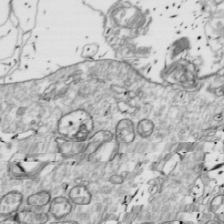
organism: Drosophila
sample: Cell division; meiosis; drosophila spermatocytes